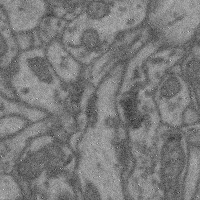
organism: Mouse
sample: Cerebral cortex